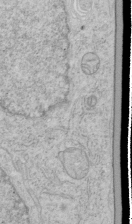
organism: Human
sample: Mitochondria in HCT116 cells